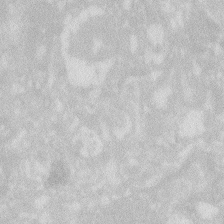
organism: Zebrafish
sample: Macrophage